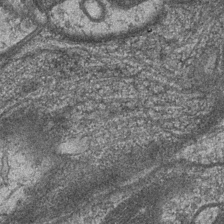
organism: Drosophila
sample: Optic medulla